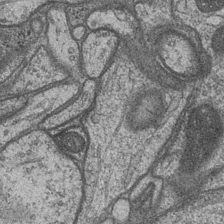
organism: Drosophila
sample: Optic medulla